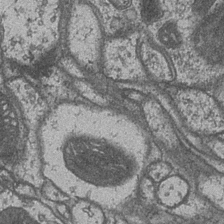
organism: Drosophila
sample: Optic medulla